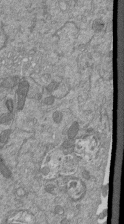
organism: Mouse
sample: ED-1 cell nuclei; centrioles